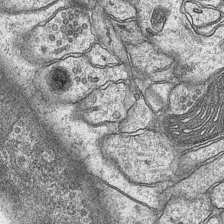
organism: Mouse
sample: CA1 Hippocampus